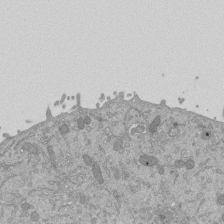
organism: Mouse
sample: ED-1 cell nuclei; centrioles